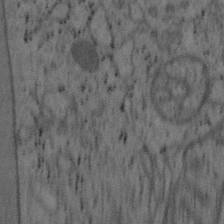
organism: Human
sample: HeLa cells